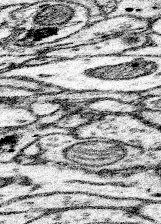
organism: Mouse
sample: Somatosensory cortex neuropil